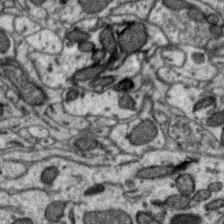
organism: Zebra finch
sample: Brain